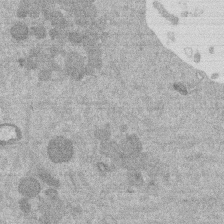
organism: Mouse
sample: Dividing mouse embryo 1 cell stage